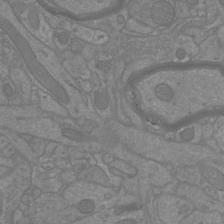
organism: Mouse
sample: Cortical neurons